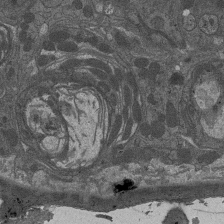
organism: Drosophila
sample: Antenna